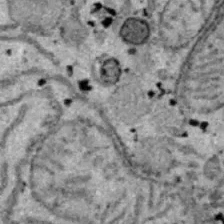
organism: Mouse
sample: Liver from an obese (ob/ob) mouse